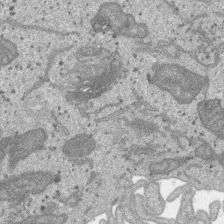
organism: Human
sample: Lung epithelial cells infected with SARS-CoV-2